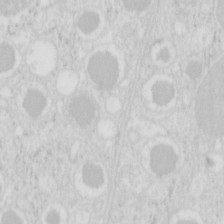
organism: Mouse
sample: Pancreas